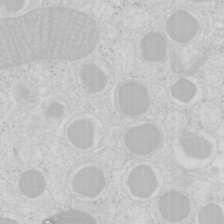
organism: Mouse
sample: Pancreas